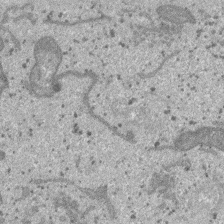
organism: Human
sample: Lung epithelial cells infected with SARS-CoV-2